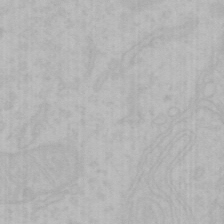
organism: Mouse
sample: Choroid plexus